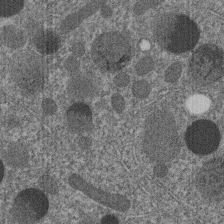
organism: C. elegans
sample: C. elegans embryo early stage